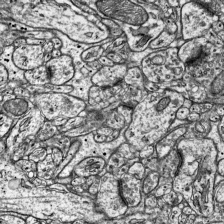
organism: Mouse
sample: Visual Cortex